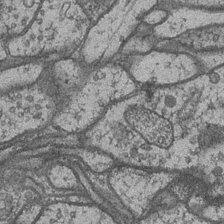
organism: Drosophila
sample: Optic medulla